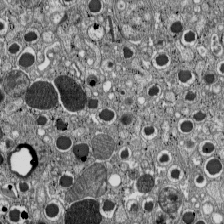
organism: C57BL Mouse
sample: Pancreatic islet